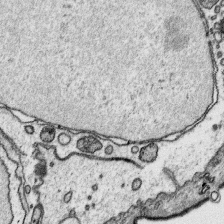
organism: Platynereis dumerilii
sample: Parapodia